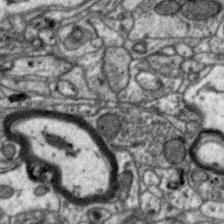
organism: Zebra finch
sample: Brain